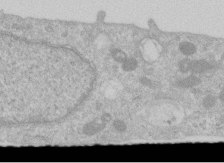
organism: Human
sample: Centriole in RPE cells